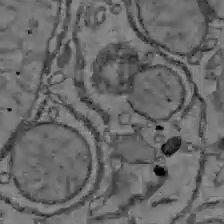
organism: C57BL Mouse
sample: Liver